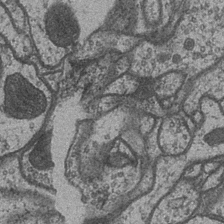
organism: Drosophila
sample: Optic medulla